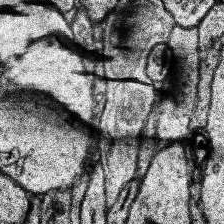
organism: Human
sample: Temporal Lobe